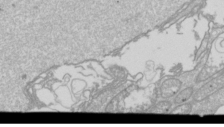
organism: Drosophila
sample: Cell division; meiosis; drosophila spermatocytes